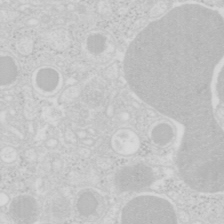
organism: Mouse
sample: Pancreas